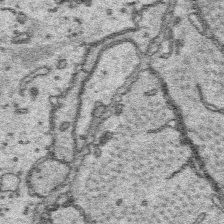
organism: Platynereis dumerilii